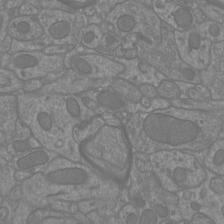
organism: Mouse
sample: Cortical neurons